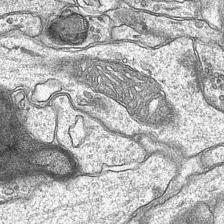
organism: Mouse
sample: CA1 Hippocampus